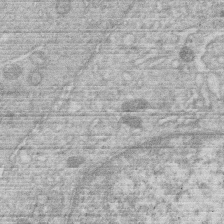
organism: Human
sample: Macrophage cells